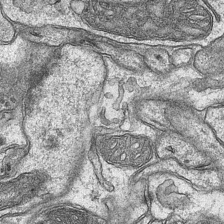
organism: Mouse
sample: CA1 Hippocampus